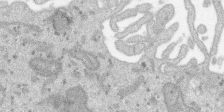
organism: Human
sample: Lung epithelial cells infected with SARS-CoV-2